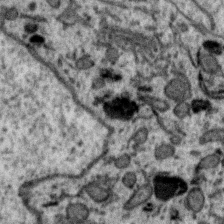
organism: Zebra finch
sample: Brain